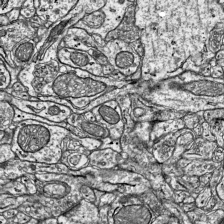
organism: Mouse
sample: Visual Cortex